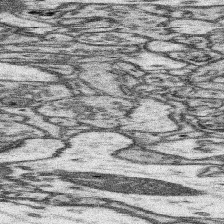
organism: Mouse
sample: Somatosensory cortex neuropil